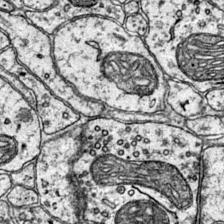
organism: Mouse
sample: Primary visual cortex